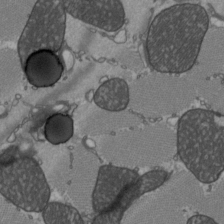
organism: C57BL Mouse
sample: Heart